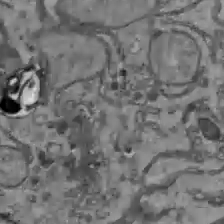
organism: C57BL Mouse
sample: Liver